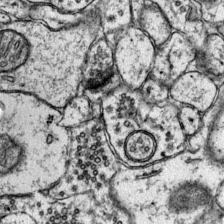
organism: Mouse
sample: Primary visual cortex